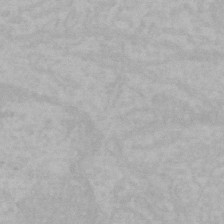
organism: Mouse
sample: Choroid plexus